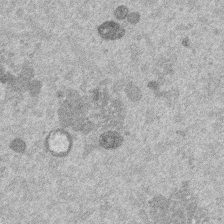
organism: Mouse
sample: Dividing mouse embryo 1 cell stage